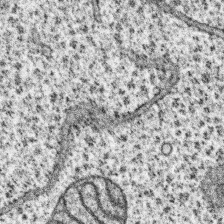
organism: Human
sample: HeLa cells